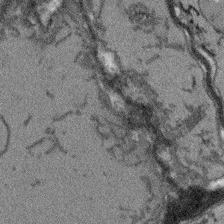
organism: Arabidopsis thaliana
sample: Root tip